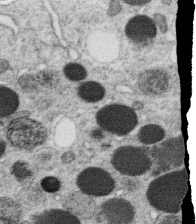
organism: C. elegans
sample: C. elegans oocyte; sperm cells